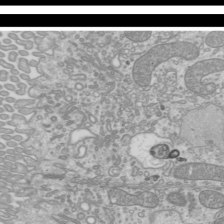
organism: Mouse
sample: Cilia; mouse epididymis